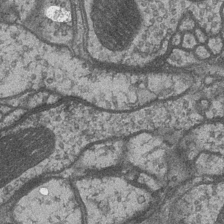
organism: Drosophila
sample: Optic medulla